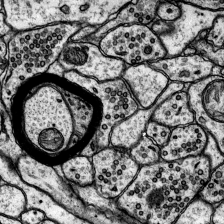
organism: Rat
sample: Hippocampus